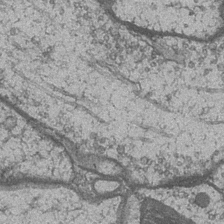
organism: Drosophila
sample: Optic medulla